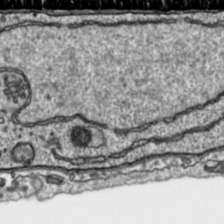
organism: Toxoplasma gondii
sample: Parasites in a vacuole inside a host cell